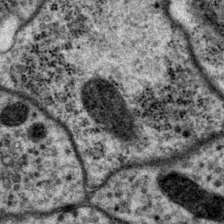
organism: P. pacificus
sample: Pharynx